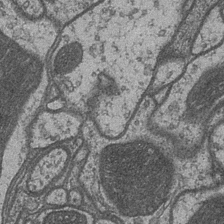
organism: Drosophila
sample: Optic medulla